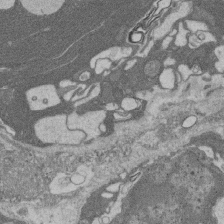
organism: Rat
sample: Salivary granule